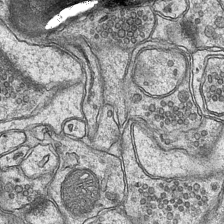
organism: Mouse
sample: CA1 Hippocampus